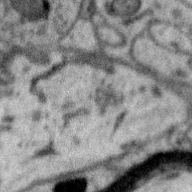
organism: Zebra finch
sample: Brain